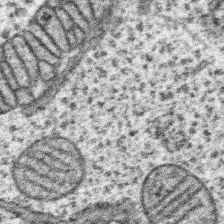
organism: Human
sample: HeLa cells